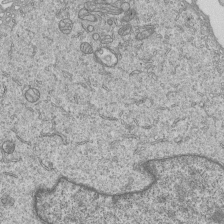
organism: Human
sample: MDA-MB-231 cells